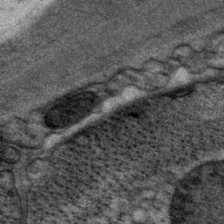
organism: P. pacificus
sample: Pharynx